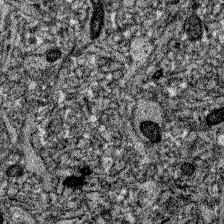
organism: Zebrafish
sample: Larval olfactory bulb